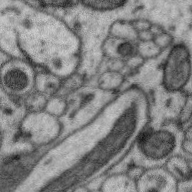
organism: Zebra finch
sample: Brain